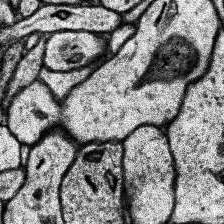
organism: Human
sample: Temporal Lobe